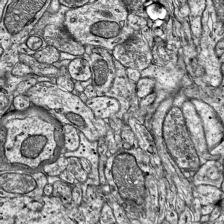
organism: Mouse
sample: Visual Cortex